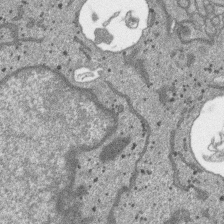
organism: Human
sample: Lung epithelial cells infected with SARS-CoV-2